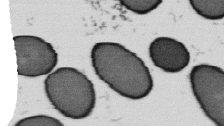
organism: B. subtilis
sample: Bacterial spore